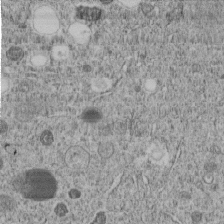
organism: C. elegans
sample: C. elegans embryo early stage